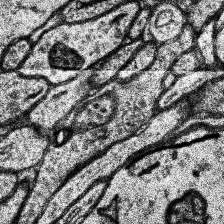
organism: Human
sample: Temporal Lobe